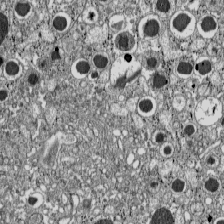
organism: C57BL Mouse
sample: Pancreatic islet